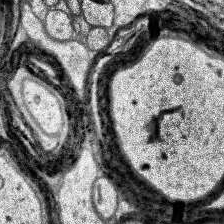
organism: Human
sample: Temporal Lobe